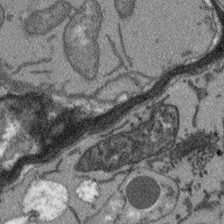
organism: Arabidopsis thaliana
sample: Root tip